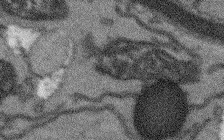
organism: Arabidopsis thaliana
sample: Root tip